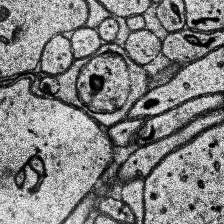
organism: Human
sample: Temporal Lobe